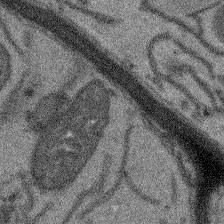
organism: Arabidopsis thaliana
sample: Root tip